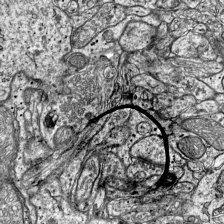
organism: Mouse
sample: Visual Cortex